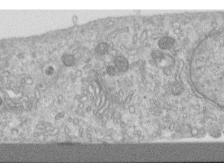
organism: Human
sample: Centriole in RPE cells